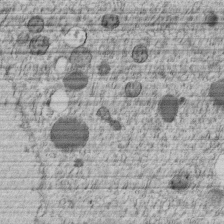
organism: C. elegans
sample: C. elegans embryo early stage